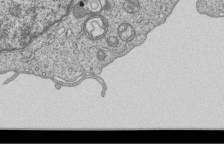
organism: Human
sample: MDA-MB-231 cells